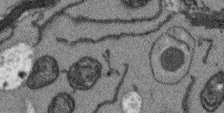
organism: Arabidopsis thaliana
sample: Root tip